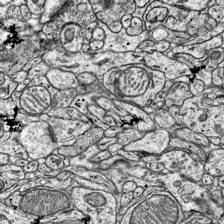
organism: Mouse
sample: Visual Cortex